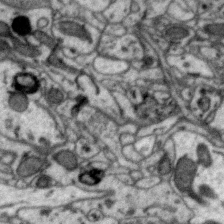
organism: Zebra finch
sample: Brain